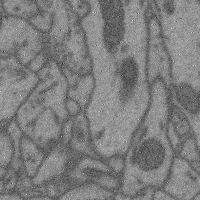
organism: Mouse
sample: Cerebral cortex